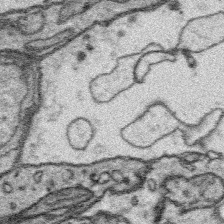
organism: Platynereis dumerilii